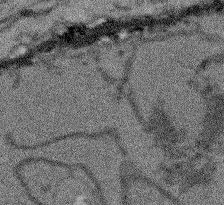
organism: Arabidopsis thaliana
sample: Root tip